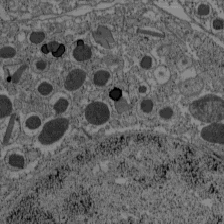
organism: C57BL Mouse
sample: Pancreatic islet